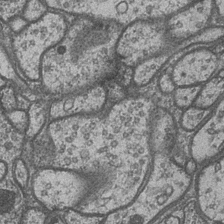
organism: Drosophila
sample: Optic medulla